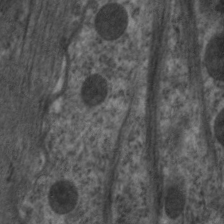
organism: C. elegans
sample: Pharynx